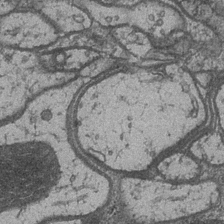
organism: Drosophila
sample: Optic medulla